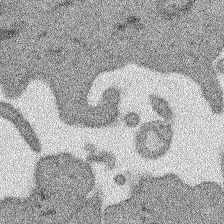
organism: Human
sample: HeLa cells